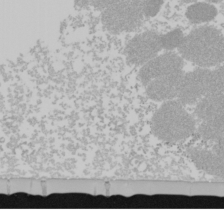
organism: Mouse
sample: Cancer cell death in ED-1 cells